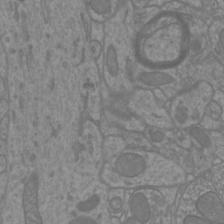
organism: Mouse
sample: Cortical neurons